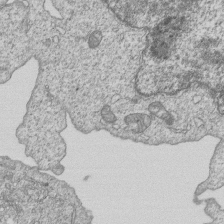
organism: Human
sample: MDA-MB-231 cells